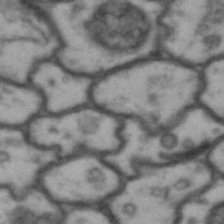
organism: Drosophila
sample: Brain